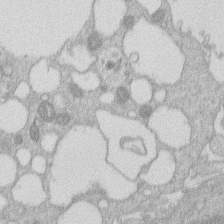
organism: Human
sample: Macrophage cells